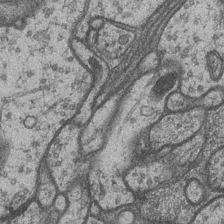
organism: Drosophila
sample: Optic medulla